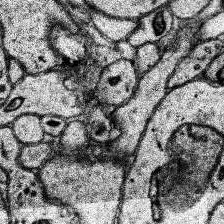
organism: Human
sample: Temporal Lobe